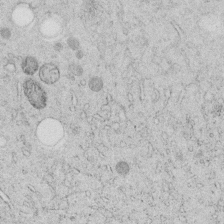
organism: C. elegans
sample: C. elegans embryo early stage